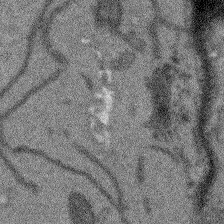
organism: Arabidopsis thaliana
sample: Root tip